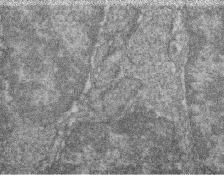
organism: Zebrafish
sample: Cilia; retinal pigment epithelium